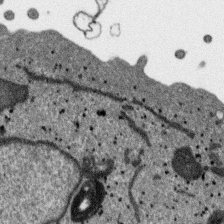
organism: Human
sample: Lung epithelial cells, uninfected (mock) control